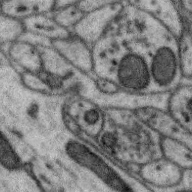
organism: Zebra finch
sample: Brain